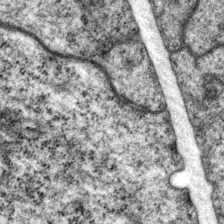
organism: P. pacificus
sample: Pharynx